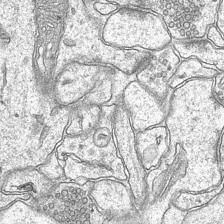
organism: Mouse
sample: CA1 Hippocampus